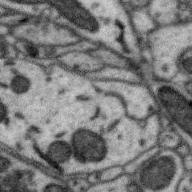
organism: Zebra finch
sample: Brain